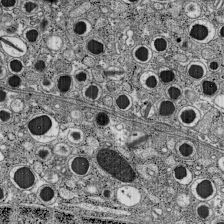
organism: C57BL Mouse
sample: Pancreatic islet